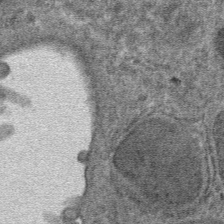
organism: Mouse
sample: Mouse hepatocytes